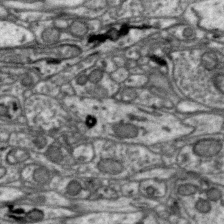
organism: Zebra finch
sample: Brain